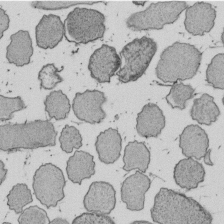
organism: E. coli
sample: Bacterial nucleoid